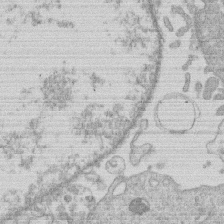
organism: Human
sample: Macrophage cells